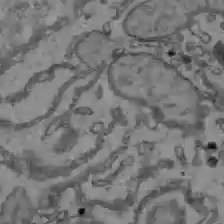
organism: C57BL Mouse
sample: Liver